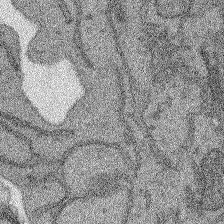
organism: Human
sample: HeLa cells